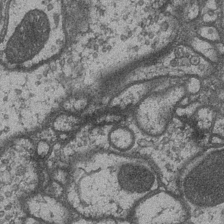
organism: Drosophila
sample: Optic medulla